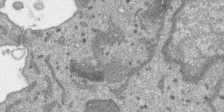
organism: Human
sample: Lung epithelial cells infected with SARS-CoV-2